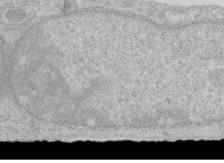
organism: Human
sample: Centriole in RPE cells